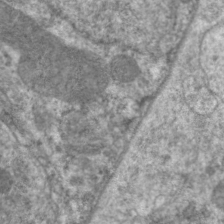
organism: C. elegans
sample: Pharynx